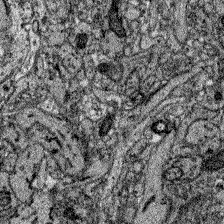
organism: Zebrafish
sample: Larval olfactory bulb